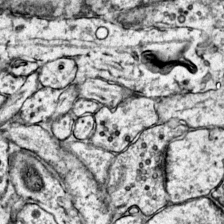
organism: Mouse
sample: Primary visual cortex